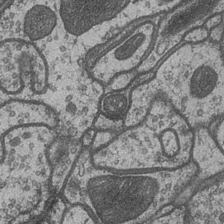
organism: Drosophila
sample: Optic medulla